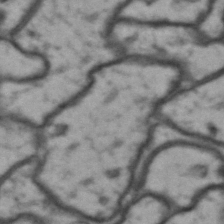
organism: Drosophila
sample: Brain